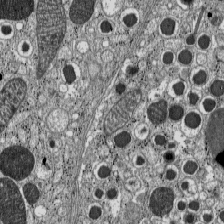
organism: C57BL Mouse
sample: Pancreatic islet